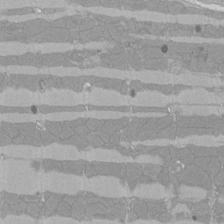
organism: Rat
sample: Left ventricle